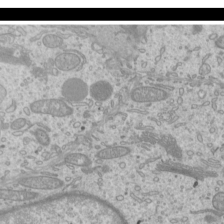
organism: Mouse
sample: Cilia; mouse epididymis